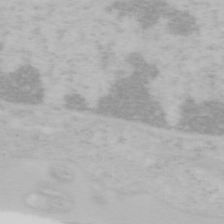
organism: Mouse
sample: OT-I killer T cells with ID8 ovarian cancer cells